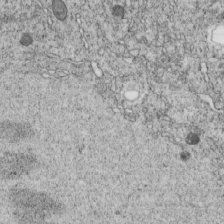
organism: C. elegans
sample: C. elegans embryo early stage